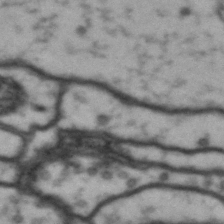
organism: Drosophila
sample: Brain